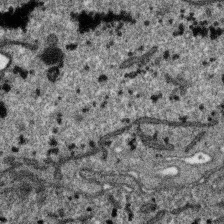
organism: Human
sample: Lung epithelial cells infected with SARS-CoV-2